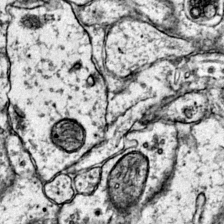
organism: Mouse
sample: Primary visual cortex